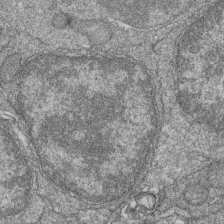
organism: Zebrafish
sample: Cilia; retinal pigment epithelium